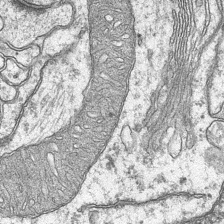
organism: Mouse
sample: CA1 Hippocampus